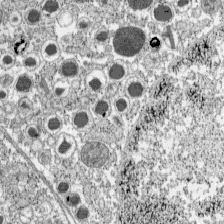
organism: C57BL Mouse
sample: Pancreatic islet